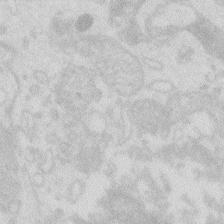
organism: Zebrafish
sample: Macrophage